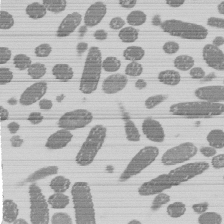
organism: E. coli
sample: Bacterial nucleoid